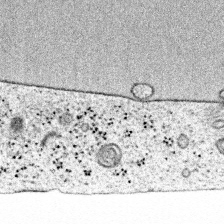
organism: Human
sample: HeLa cells